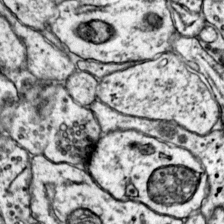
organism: Mouse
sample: Primary visual cortex